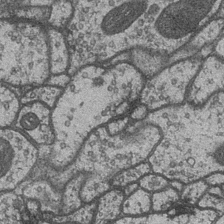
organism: Drosophila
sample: Optic medulla